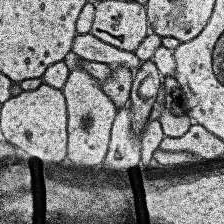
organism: Human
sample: Temporal Lobe